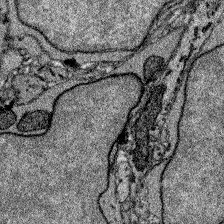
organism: Zebrafish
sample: Larval olfactory bulb